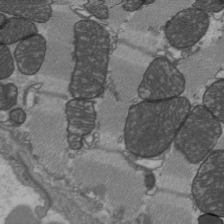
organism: C57BL Mouse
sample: Heart